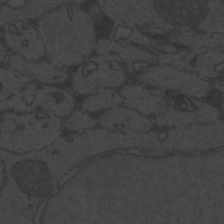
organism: Zebrafish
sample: Macrophage infected with Toxoplasma gondii